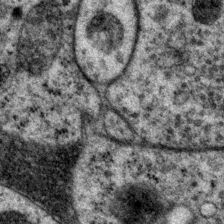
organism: P. pacificus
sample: Pharynx